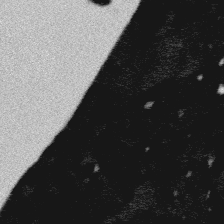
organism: Platynereis dumerilii